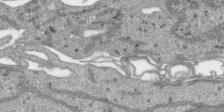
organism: Human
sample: Lung epithelial cells infected with SARS-CoV-2